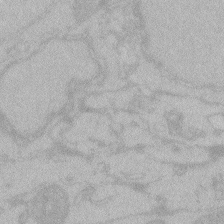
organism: Zebrafish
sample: Macrophage infected with Toxoplasma gondii